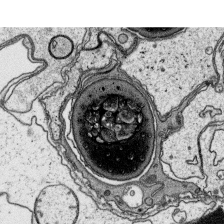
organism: Platynereis dumerilii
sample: Parapodia